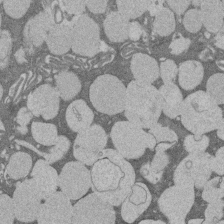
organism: Rat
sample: Salivary granule